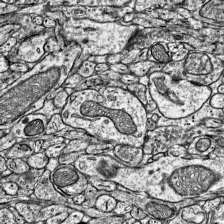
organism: Mouse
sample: Visual Cortex